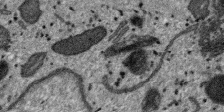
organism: Human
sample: Lung epithelial cells, uninfected (mock) control